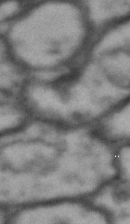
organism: Drosophila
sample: Brain